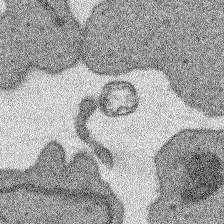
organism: Human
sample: HeLa cells